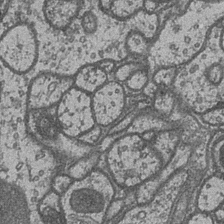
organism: Drosophila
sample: Optic medulla